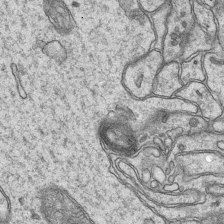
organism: Mouse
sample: CA1 Hippocampus